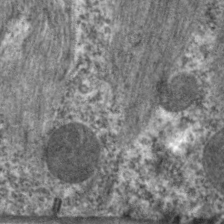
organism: C. elegans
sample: Pharynx